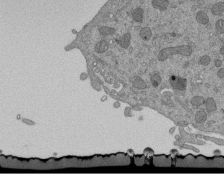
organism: Mouse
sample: ED-1 cell nuclei; centrioles